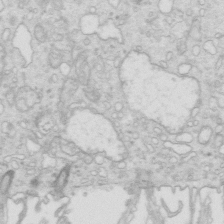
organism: Mouse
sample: Multiciliated cells